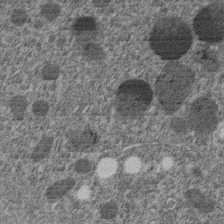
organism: C. elegans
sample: C. elegans embryo early stage